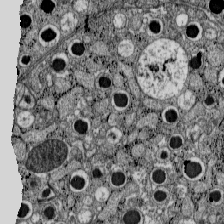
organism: C57BL Mouse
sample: Pancreatic islet